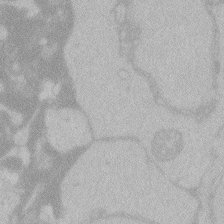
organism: Zebrafish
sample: Macrophage infected with Toxoplasma gondii